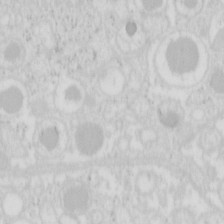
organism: Mouse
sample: Pancreas